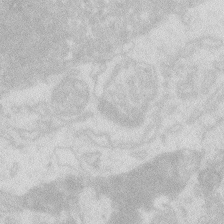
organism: Zebrafish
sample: Macrophage